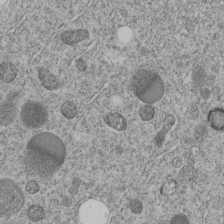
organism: C. elegans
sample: C. elegans embryo early stage